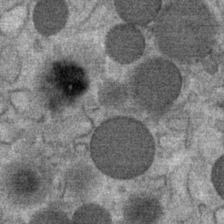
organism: Mouse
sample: Mouse Salivary gland